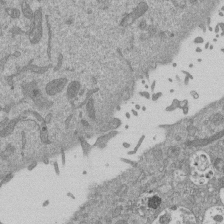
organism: Mouse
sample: ED-1 cell nuclei; centrioles